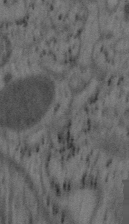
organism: Human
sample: HeLa cells